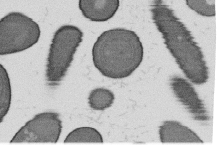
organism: B. subtilis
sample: Bacterial spore